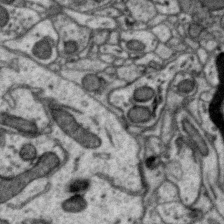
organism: Zebra finch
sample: Brain